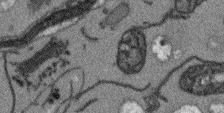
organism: Arabidopsis thaliana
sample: Root tip